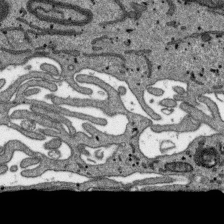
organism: Human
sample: Lung epithelial cells, uninfected (mock) control